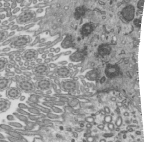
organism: Mouse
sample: Mouse epididymis efferent ductule cilia